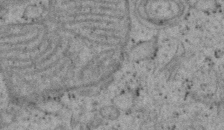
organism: Human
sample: HeLa cells